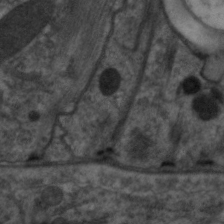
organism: C. elegans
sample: Pharynx